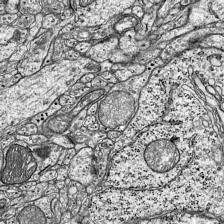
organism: Mouse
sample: Visual Cortex